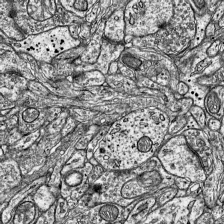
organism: Mouse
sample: Visual Cortex